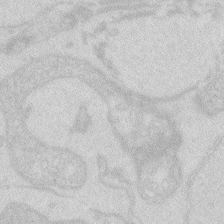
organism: Zebrafish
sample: Macrophage